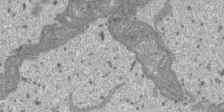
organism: Human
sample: Lung epithelial cells infected with SARS-CoV-2